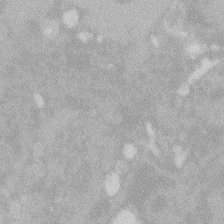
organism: Zebrafish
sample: Macrophage